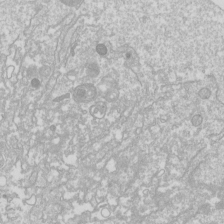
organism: Drosophila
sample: Cell division; meiosis; drosophila spermatocytes